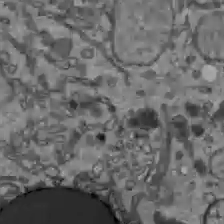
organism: C57BL Mouse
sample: Liver